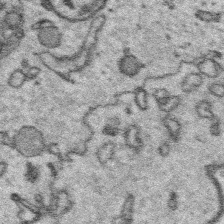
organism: Platynereis dumerilii